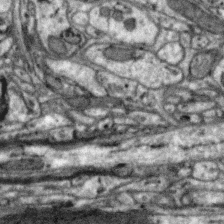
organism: Zebra finch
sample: Brain